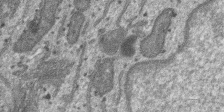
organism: Human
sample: Lung epithelial cells infected with SARS-CoV-2